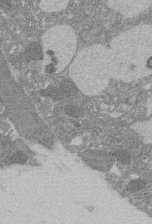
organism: Rat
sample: Salivary granule